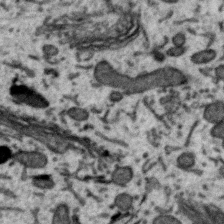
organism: Zebra finch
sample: Brain